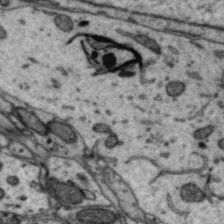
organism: Zebra finch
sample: Brain